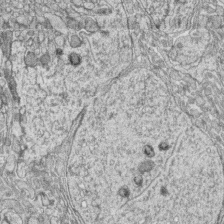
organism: Zebrafish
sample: synaptic ribbons in rod cells and cone cells